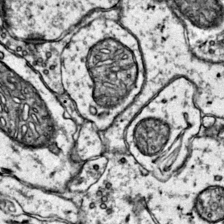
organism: Mouse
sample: Primary visual cortex